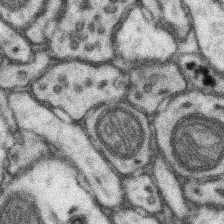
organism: Mouse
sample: Somatosensory cortex neuropil